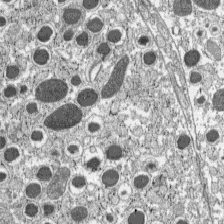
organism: C57BL Mouse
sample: Pancreatic islet